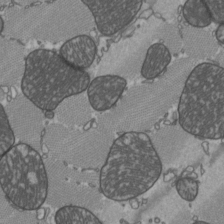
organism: C57BL Mouse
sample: Heart